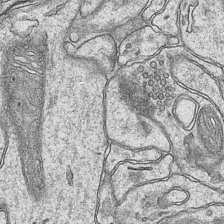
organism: Mouse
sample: CA1 Hippocampus